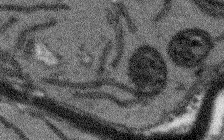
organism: Arabidopsis thaliana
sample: Root tip